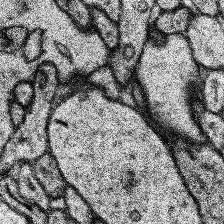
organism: Human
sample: Temporal Lobe